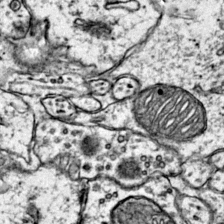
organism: Mouse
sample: Primary visual cortex